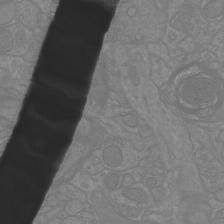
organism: Mouse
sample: Cortical neurons